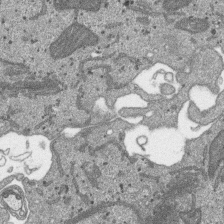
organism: Human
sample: Lung epithelial cells infected with SARS-CoV-2